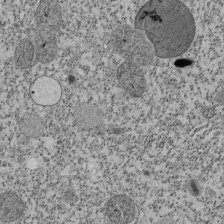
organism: Tetrahymena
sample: Cilia in tetrahymena